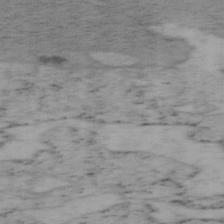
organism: Mouse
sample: OT-I killer T cells with ID8 ovarian cancer cells